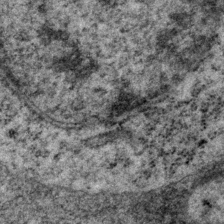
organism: P. pacificus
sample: Pharynx